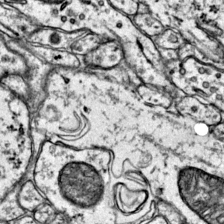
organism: Mouse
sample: Primary visual cortex